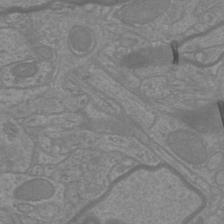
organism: Mouse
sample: Cortical neurons